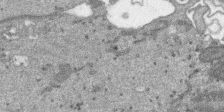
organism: Human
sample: Lung epithelial cells infected with SARS-CoV-2